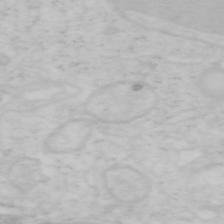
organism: Mouse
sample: OT-I killer T cells with ID8 ovarian cancer cells